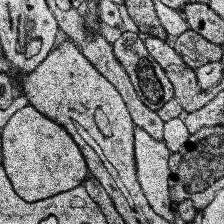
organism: Human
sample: Temporal Lobe